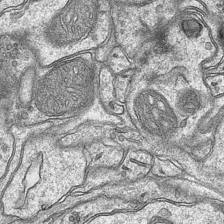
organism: Mouse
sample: CA1 Hippocampus